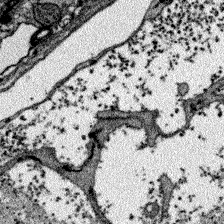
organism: Zebrafish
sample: Larval olfactory bulb